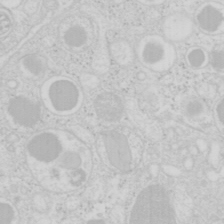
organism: Mouse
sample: Pancreas